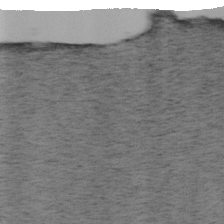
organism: Mouse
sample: OT-I killer T cells with ID8 ovarian cancer cells